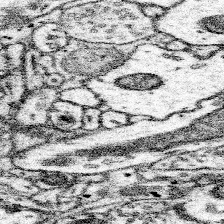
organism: Mouse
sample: Somatosensory cortex neuropil